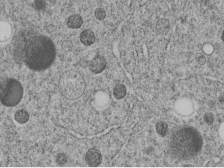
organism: C. elegans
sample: C. elegans embryo early stage